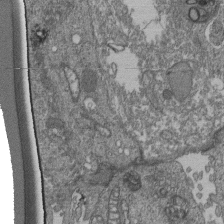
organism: Human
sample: Retinal organoid Rod and Cone cells